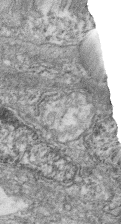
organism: Zebrafish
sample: Cilia; retinal pigment epithelium